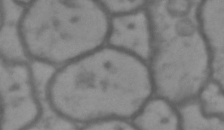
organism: Drosophila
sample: Brain